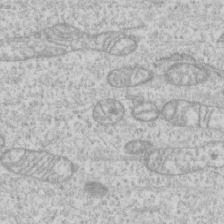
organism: Human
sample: CRL-1474